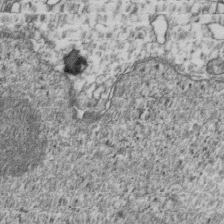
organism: Human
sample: Activated Jurkat CD4+ T cells